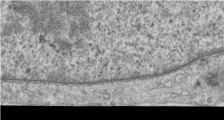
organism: Human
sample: Centriole in RPE cells